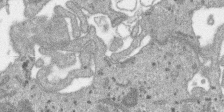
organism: Human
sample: Lung epithelial cells infected with SARS-CoV-2